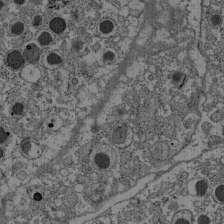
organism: C57BL Mouse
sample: Pancreatic islet